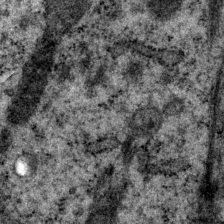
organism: P. pacificus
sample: Pharynx